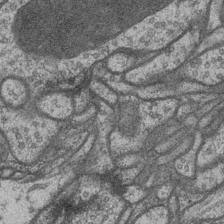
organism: Drosophila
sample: Optic medulla